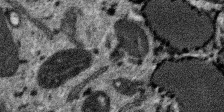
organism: Human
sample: Lung epithelial cells infected with SARS-CoV-2